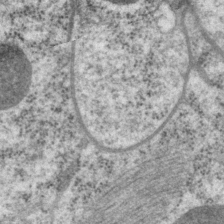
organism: P. pacificus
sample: Pharynx